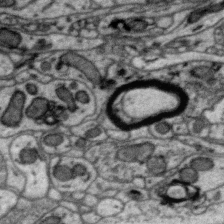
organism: Zebra finch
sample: Brain